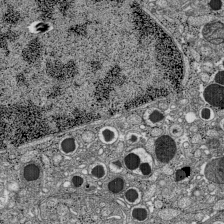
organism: C57BL Mouse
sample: Pancreatic islet